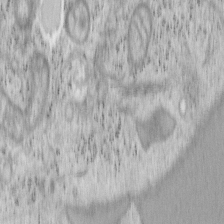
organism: Human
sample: HeLa cells